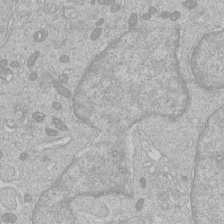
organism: Human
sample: Macrophage cells